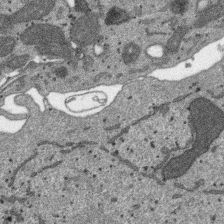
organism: Human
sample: Lung epithelial cells infected with SARS-CoV-2